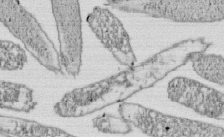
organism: E. coli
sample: Bacterial nucleoid